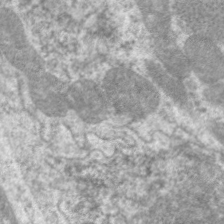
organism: C. elegans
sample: Pharynx